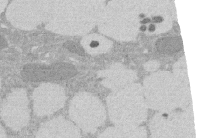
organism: Rat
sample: Salivary granule